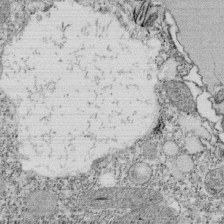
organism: Tetrahymena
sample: Cilia in tetrahymena